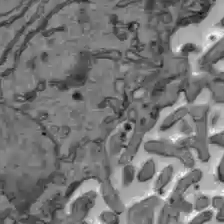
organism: C57BL Mouse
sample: Liver